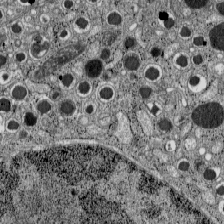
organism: C57BL Mouse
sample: Pancreatic islet